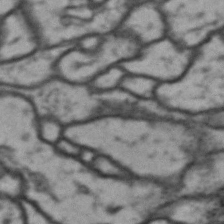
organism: Drosophila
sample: Brain